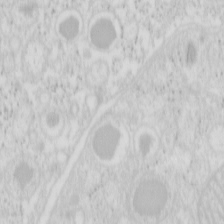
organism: Mouse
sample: Pancreas